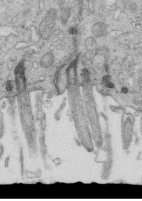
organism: Mouse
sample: Multiciliated cells